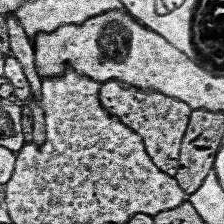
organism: Human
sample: Temporal Lobe